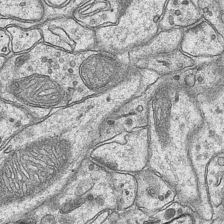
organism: Mouse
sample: CA1 Hippocampus